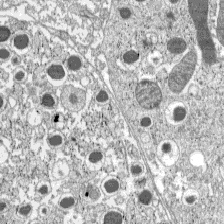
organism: C57BL Mouse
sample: Pancreatic islet